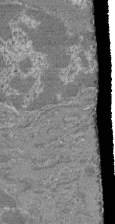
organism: Mouse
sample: Glomerulus